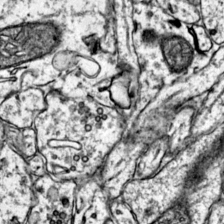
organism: Mouse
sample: Primary visual cortex